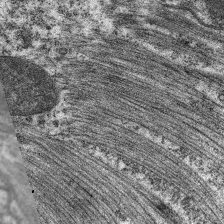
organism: C. elegans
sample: Pharynx